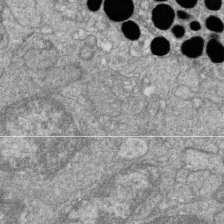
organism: Zebrafish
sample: Cilia; retinal pigment epithelium